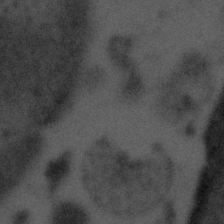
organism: Tuwongella immobilis